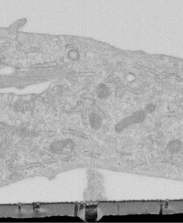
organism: Human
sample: Centriole in RPE cells